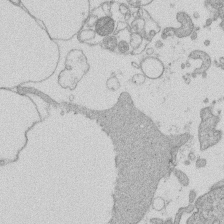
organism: Human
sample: Macrophage cells